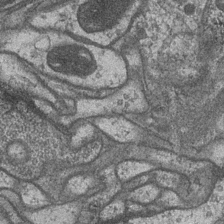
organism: Drosophila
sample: Optic medulla